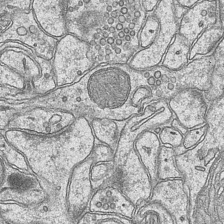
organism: Mouse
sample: CA1 Hippocampus